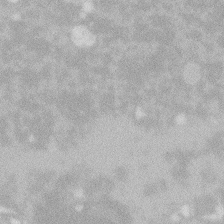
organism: Zebrafish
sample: Macrophage